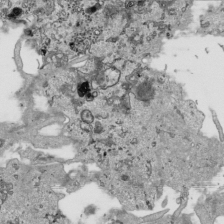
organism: Human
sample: Mitochondria in HCT116 cells